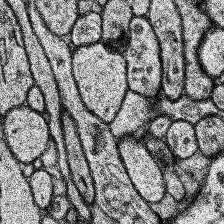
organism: Human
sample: Temporal Lobe